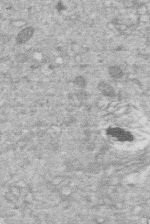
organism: Human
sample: Macrophage cells